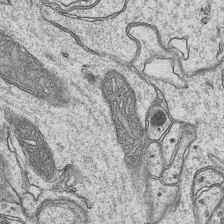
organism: Mouse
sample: CA1 Hippocampus